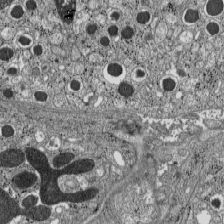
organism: C57BL Mouse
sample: Pancreatic islet